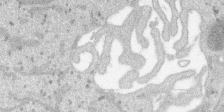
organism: Human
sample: Lung epithelial cells infected with SARS-CoV-2